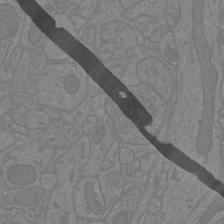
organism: Mouse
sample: Cortical neurons